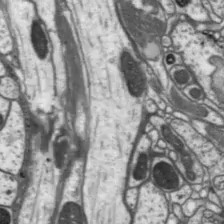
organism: Drosophila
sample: Protocerebral bridge